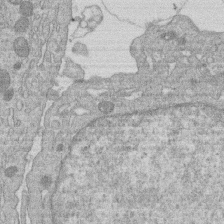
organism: Human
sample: Macrophage cells